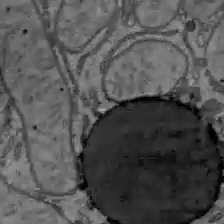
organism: C57BL Mouse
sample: Liver